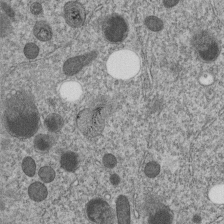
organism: C. elegans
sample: C. elegans embryo early stage